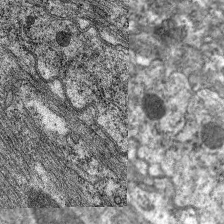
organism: C. elegans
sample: Pharynx